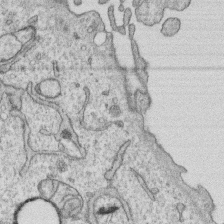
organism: Human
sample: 1205lu cells